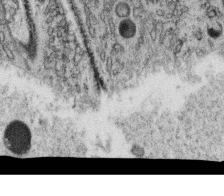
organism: C. elegans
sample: C. elegans oocyte; sperm cells